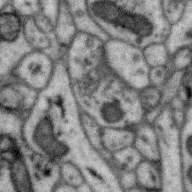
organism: Zebra finch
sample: Brain